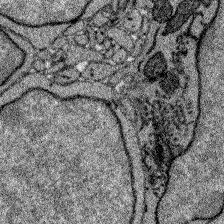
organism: Zebrafish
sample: Larval olfactory bulb